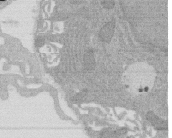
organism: Rat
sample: Salivary granule